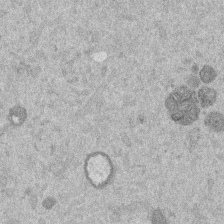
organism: Mouse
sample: Dividing mouse embryo 1 cell stage